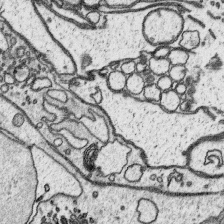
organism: Platynereis dumerilii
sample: Parapodia